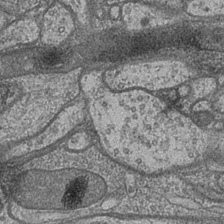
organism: Drosophila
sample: Optic medulla